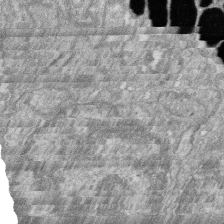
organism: Zebrafish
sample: Cilia; retinal pigment epithelium